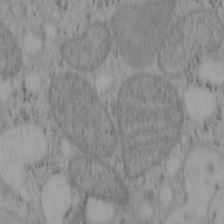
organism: Mouse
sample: OT-I killer T cells with ID8 ovarian cancer cells